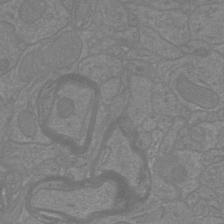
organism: Mouse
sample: Cortical neurons